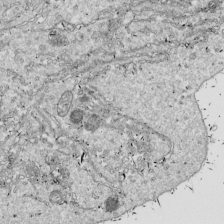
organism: Drosophila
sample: Cell division; meiosis; drosophila spermatocytes